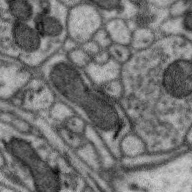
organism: Zebra finch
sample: Brain